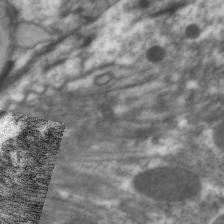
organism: C. elegans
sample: Pharynx